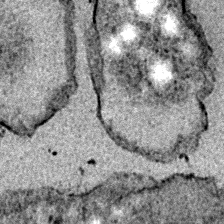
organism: E. coli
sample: E. Coli Bacteria